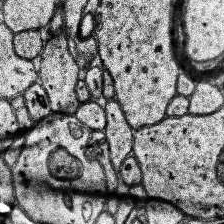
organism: Human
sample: Temporal Lobe